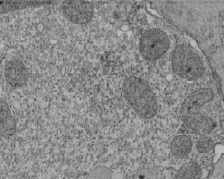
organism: Tetrahymena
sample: Cilia in tetrahymena